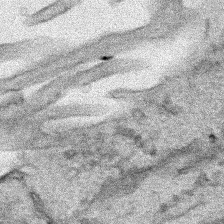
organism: Human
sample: Mitochondria in HCT116 cells